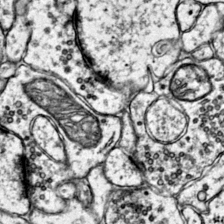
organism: Mouse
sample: Primary visual cortex